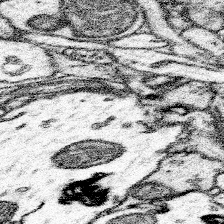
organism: Mouse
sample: Somatosensory cortex neuropil